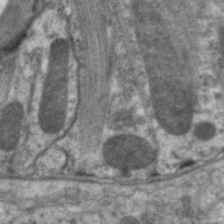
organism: C. elegans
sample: Pharynx